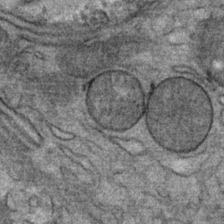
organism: Mouse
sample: Mouse Salivary gland